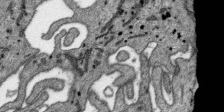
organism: Human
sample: Lung epithelial cells, uninfected (mock) control